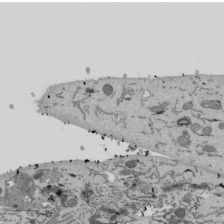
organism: Mouse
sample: ED-1 cell nuclei; centrioles